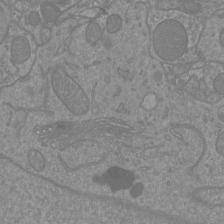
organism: Mouse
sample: Cortical neurons